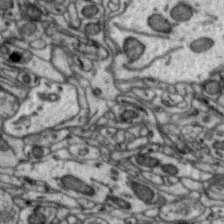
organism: Zebra finch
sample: Brain